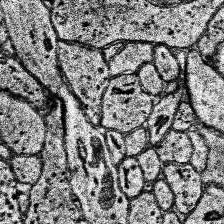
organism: Human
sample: Temporal Lobe